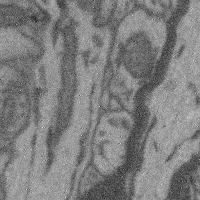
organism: Mouse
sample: Cerebral cortex